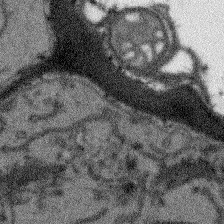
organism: Arabidopsis thaliana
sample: Root tip